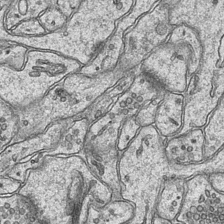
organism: Mouse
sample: CA1 Hippocampus